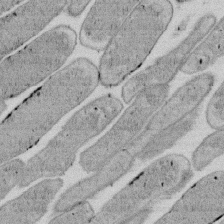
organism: E. coli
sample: Bacterial nucleoid